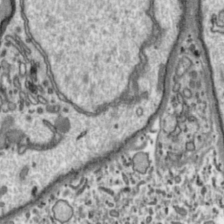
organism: Toxoplasma gondii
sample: Parasites in a vacuole inside a host cell